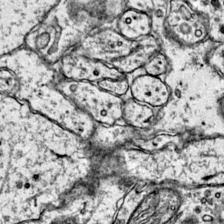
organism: Mouse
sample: Primary visual cortex